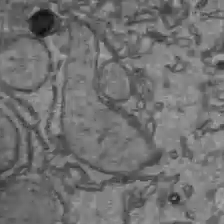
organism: C57BL Mouse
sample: Liver